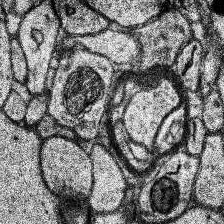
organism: Human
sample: Temporal Lobe